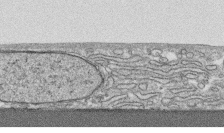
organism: Human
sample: CRL-1474